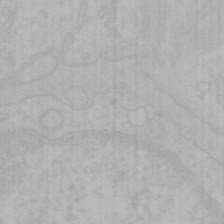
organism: Mouse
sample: Choroid plexus